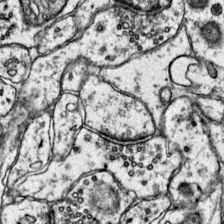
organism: Mouse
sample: Primary visual cortex